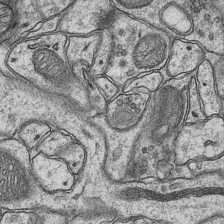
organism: Mouse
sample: CA1 Hippocampus